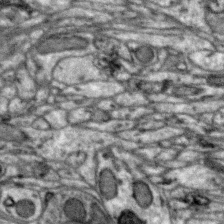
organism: Zebra finch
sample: Brain